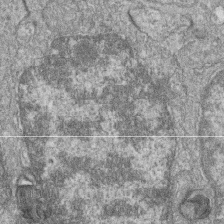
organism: Zebrafish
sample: Cilia; retinal pigment epithelium